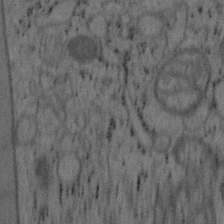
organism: Human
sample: HeLa cells